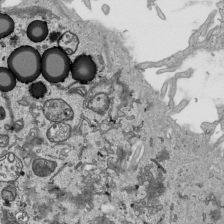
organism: Human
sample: Mitochondria in HCT116 cells